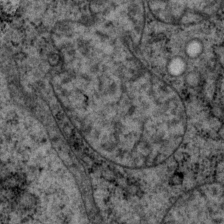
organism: P. pacificus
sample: Pharynx